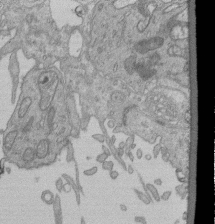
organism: Human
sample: Retinal organoid Rod and Cone cells